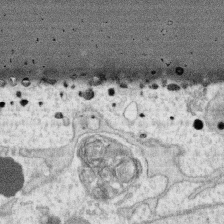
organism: Human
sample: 1205lu cells